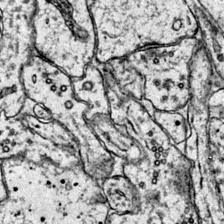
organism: Mouse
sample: Primary visual cortex